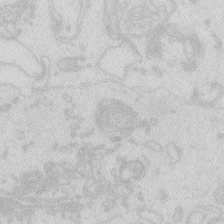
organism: Zebrafish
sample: Macrophage